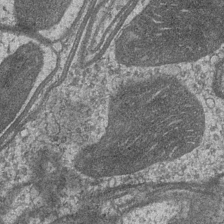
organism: Drosophila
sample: Optic medulla